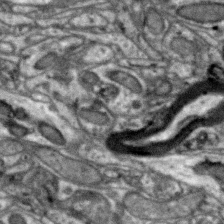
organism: Zebra finch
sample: Brain